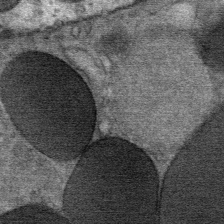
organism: Mouse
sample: Mouse Salivary gland